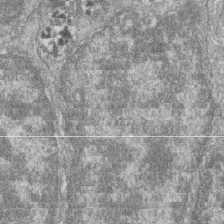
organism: Zebrafish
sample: Cilia; retinal pigment epithelium